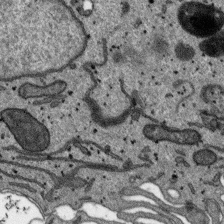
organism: Human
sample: Lung epithelial cells, uninfected (mock) control